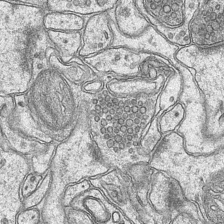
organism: Mouse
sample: CA1 Hippocampus